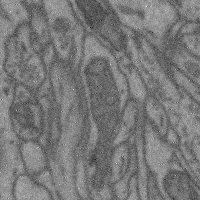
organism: Mouse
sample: Cerebral cortex